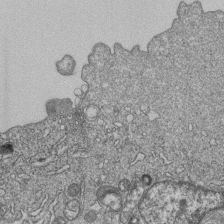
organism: Human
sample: MDA-MB-231 cells